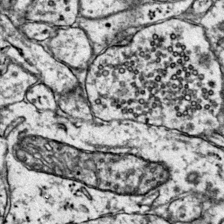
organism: Mouse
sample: Primary visual cortex